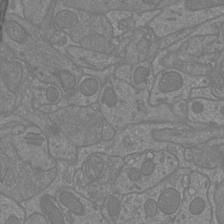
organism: Mouse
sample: Cortical neurons